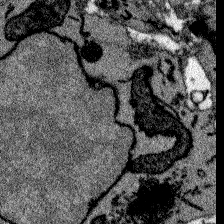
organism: Zebrafish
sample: Larval olfactory bulb